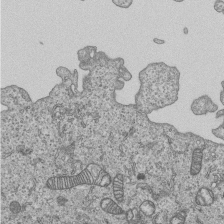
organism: Human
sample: MDA-MB-231 cells